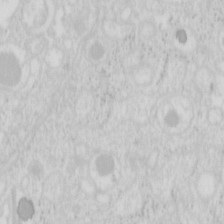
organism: Mouse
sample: Pancreas